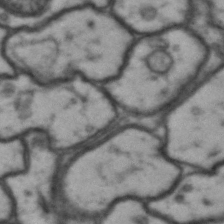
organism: Drosophila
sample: Brain